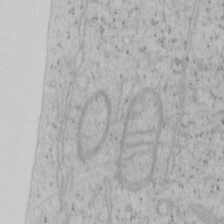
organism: Human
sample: HeLa cells